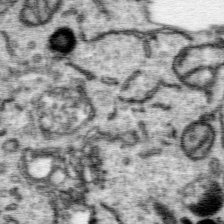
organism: Human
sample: HeLa cells